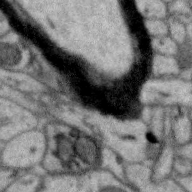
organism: Zebra finch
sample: Brain